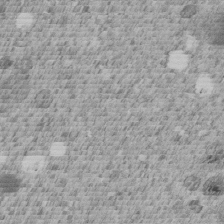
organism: C. elegans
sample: C. elegans embryo early stage